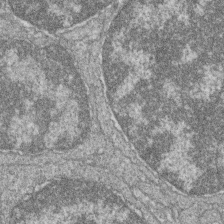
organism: Zebrafish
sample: Cilia; retinal pigment epithelium